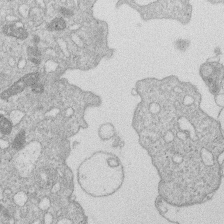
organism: Human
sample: Macrophage cells